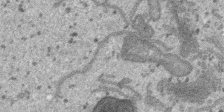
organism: Human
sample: Lung epithelial cells infected with SARS-CoV-2